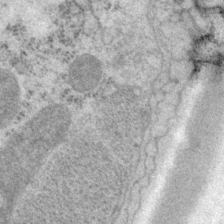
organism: P. pacificus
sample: Pharynx